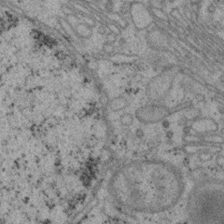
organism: Human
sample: HeLa cells